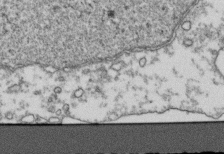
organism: Human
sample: Activated Jurkat CD4+ T cells